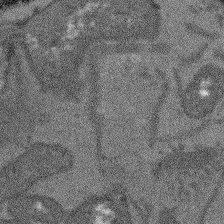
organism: Arabidopsis thaliana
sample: Root tip